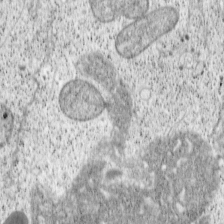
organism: African green monkey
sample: COS-7 cells